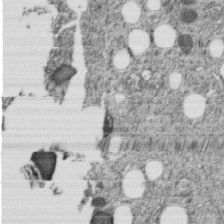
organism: C. elegans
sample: C. elegans embryo early stage